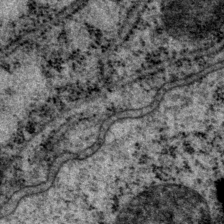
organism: P. pacificus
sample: Pharynx